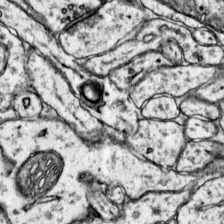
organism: Mouse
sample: Primary visual cortex